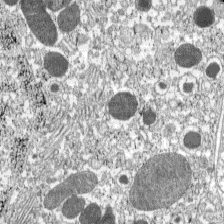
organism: C57BL Mouse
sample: Pancreatic islet